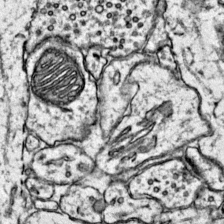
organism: Mouse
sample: Primary visual cortex